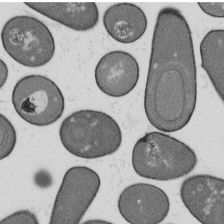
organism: B. subtilis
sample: Bacterial spore